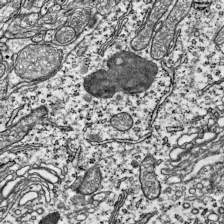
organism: Mouse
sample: Visual Cortex